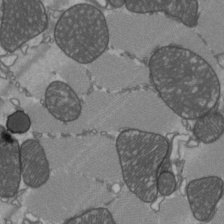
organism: C57BL Mouse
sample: Heart